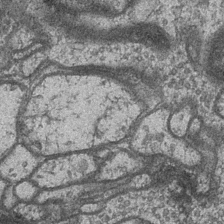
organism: Drosophila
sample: Optic medulla